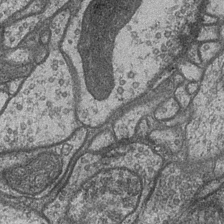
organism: Drosophila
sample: Optic medulla